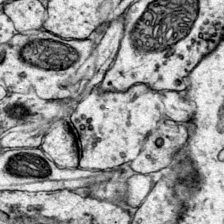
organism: Mouse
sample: Primary visual cortex